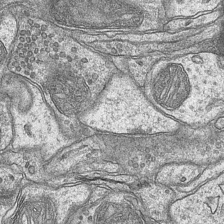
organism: Mouse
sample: CA1 Hippocampus